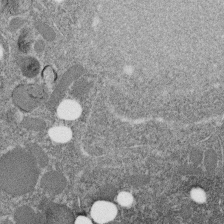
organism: C. elegans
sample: C. elegans embryo early stage